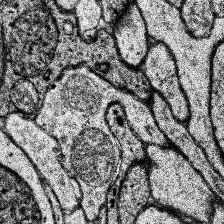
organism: Human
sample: Temporal Lobe